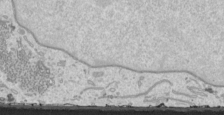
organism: Human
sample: Mitochondria in HCT116 cells